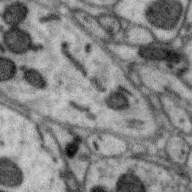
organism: Zebra finch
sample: Brain